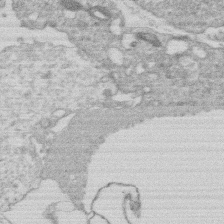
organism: Human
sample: Macrophage cells